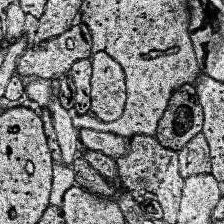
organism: Human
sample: Temporal Lobe